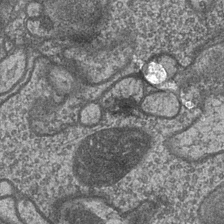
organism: Drosophila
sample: Optic medulla